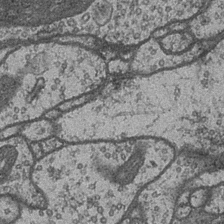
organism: Drosophila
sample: Optic medulla